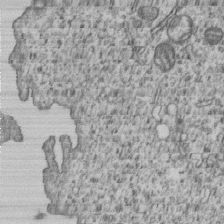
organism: Human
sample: MDA-MB-231 cells